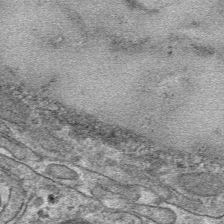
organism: Mouse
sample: Mouse hepatocytes